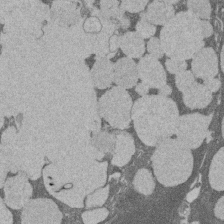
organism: Rat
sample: Salivary granule